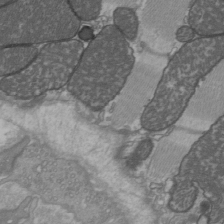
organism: C57BL Mouse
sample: Heart